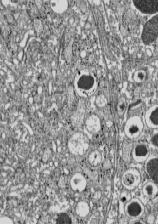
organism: C57BL Mouse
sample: Pancreatic islet